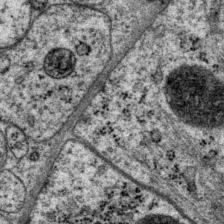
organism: P. pacificus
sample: Pharynx